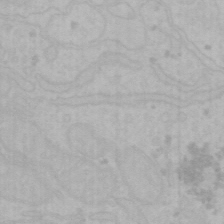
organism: Mouse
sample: Choroid plexus